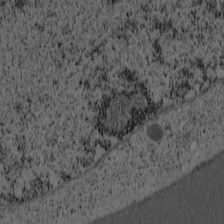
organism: African green monkey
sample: COS-7 cells